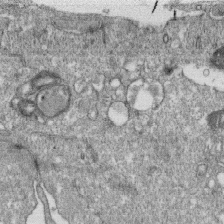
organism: African green monkey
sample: Vero E6 cells infected with SARS-CoV-2